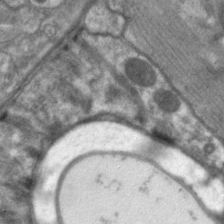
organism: C. elegans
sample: Pharynx